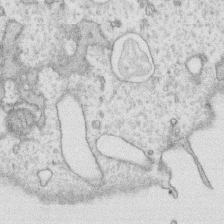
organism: Human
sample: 1205lu cells